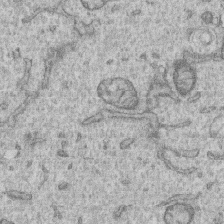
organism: Human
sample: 1205lu cells